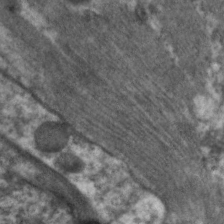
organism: C. elegans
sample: Pharynx